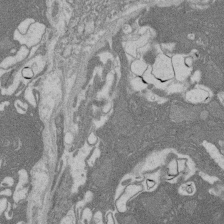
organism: Rat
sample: Salivary granule